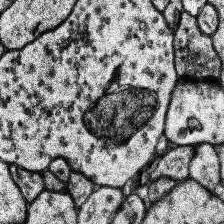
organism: Human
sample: Temporal Lobe